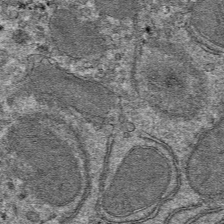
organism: Mouse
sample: Mouse hepatocytes